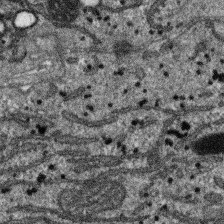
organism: Human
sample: Lung epithelial cells infected with SARS-CoV-2